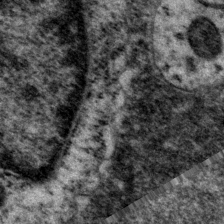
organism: P. pacificus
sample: Pharynx